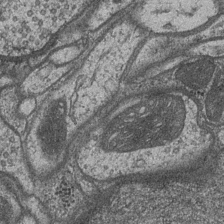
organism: Drosophila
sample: Optic medulla